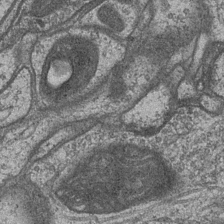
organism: Drosophila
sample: Optic medulla